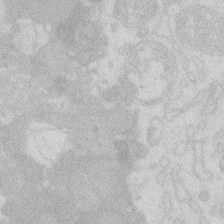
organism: Zebrafish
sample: Macrophage